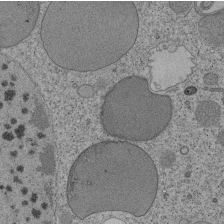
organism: Tetrahymena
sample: Cilia in tetrahymena